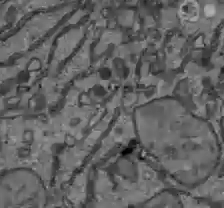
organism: C57BL Mouse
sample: Liver